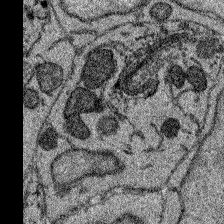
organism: Zebrafish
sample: Larval olfactory bulb